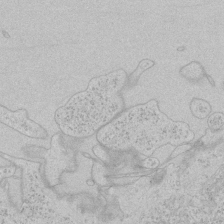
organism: Human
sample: Mitochondria in HCT116 cells